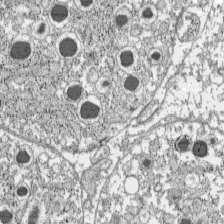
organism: C57BL Mouse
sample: Pancreatic islet